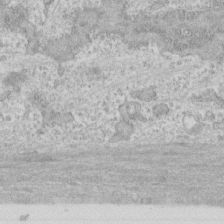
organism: Human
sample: CRL-1474